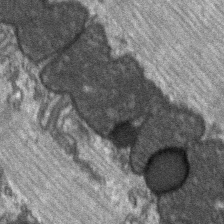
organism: C57BL Mouse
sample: Soleus